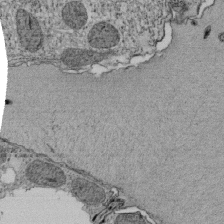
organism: Tetrahymena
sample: Cilia in tetrahymena